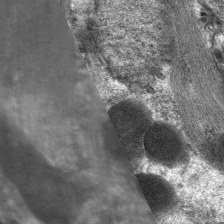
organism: C. elegans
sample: Pharynx